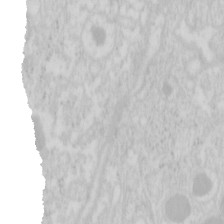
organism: Mouse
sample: Pancreas